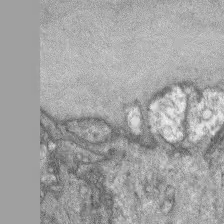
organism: Mouse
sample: Corneal nerves